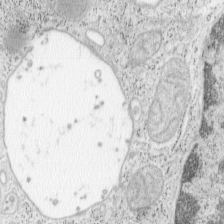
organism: Mouse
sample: OT-I killer T cells with ID8 ovarian cancer cells